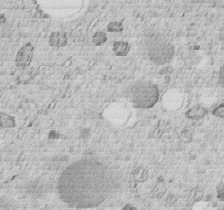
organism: C. elegans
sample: C. elegans embryo early stage